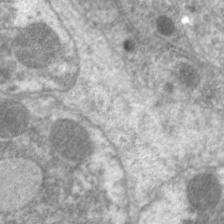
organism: C. elegans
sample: Pharynx